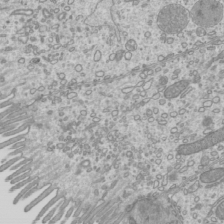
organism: Mouse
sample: Cilia; mouse epididymis